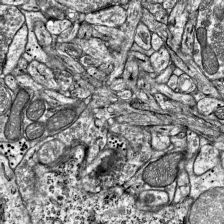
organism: Mouse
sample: Visual Cortex